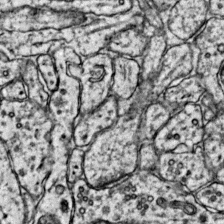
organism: Mouse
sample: Primary visual cortex